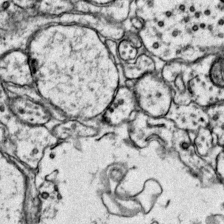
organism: Mouse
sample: Primary visual cortex